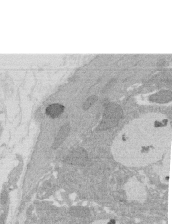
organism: Rat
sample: Salivary granule